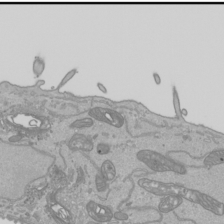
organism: Human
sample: Mitochondria in HCT116 cells